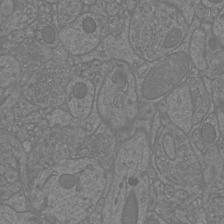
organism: Mouse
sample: Cortical neurons